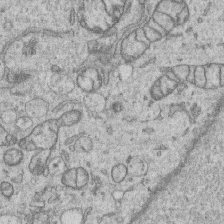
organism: Human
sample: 1205lu cells